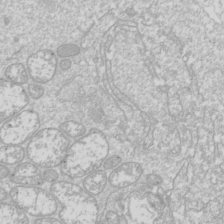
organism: Drosophila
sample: Cell division; meiosis; drosophila spermatocytes